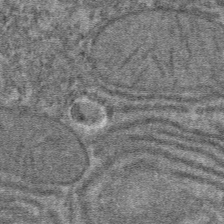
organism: Mouse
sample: Mouse hepatocytes